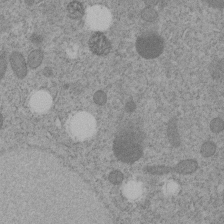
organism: C. elegans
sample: C. elegans embryo early stage